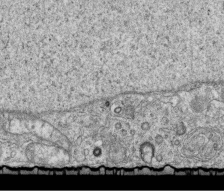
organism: Human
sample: HeLa cell HIV synapse